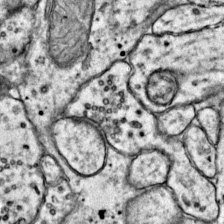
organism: Mouse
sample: Primary visual cortex